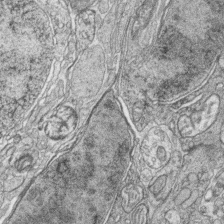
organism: Zebrafish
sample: synaptic ribbons in rod cells and cone cells